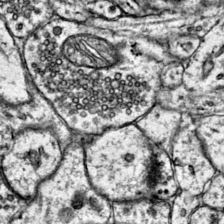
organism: Mouse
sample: Primary visual cortex